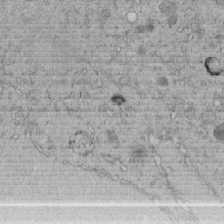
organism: C. elegans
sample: C. elegans embryo early stage